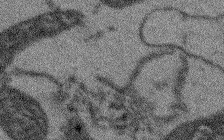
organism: Arabidopsis thaliana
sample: Root tip